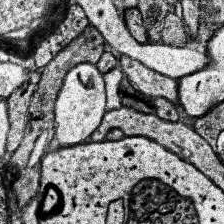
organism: Human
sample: Temporal Lobe